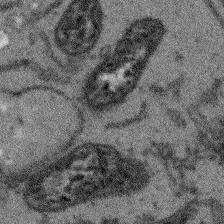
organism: Arabidopsis thaliana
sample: Root tip